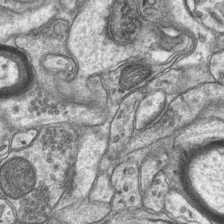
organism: Mouse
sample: CA1 Hippocampus